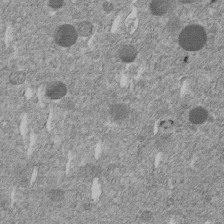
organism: C. elegans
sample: C. elegans embryo early stage